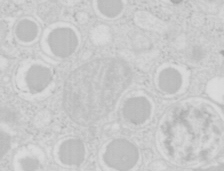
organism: Mouse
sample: Pancreas